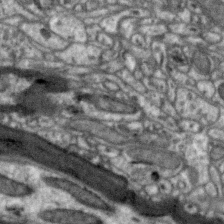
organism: Zebra finch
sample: Brain